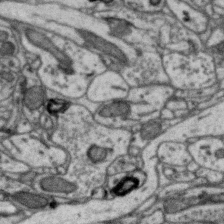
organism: Zebra finch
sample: Brain